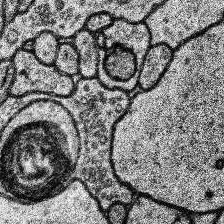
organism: Human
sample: Temporal Lobe